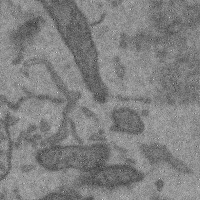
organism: Mouse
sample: Cerebral cortex